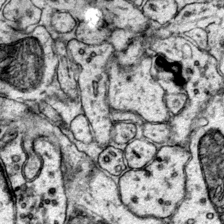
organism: Mouse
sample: Primary visual cortex